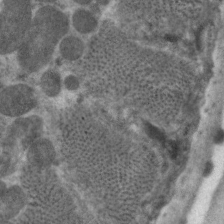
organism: C. elegans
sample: Pharynx